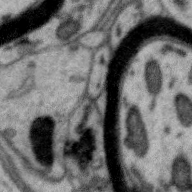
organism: Zebra finch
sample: Brain